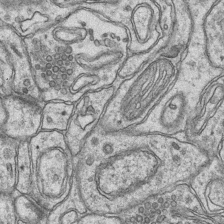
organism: Mouse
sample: CA1 Hippocampus